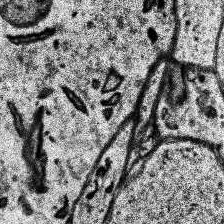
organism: Human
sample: Temporal Lobe